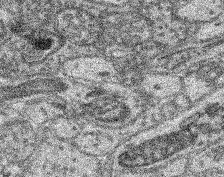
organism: Mouse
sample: Retina